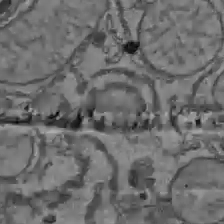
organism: C57BL Mouse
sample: Liver